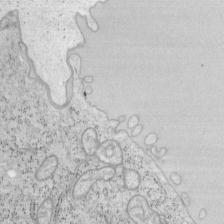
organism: Mouse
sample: OT-I killer T cells with ID8 ovarian cancer cells